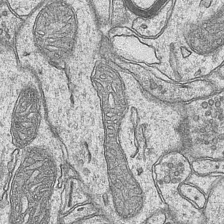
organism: Mouse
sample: CA1 Hippocampus